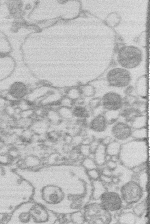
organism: Human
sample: Macrophage cells